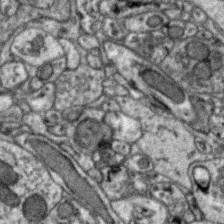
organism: Zebra finch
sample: Brain